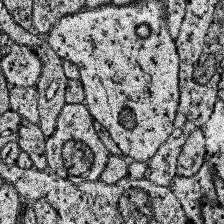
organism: Human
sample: Temporal Lobe